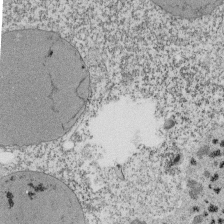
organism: Tetrahymena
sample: Cilia in tetrahymena